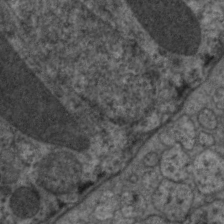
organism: C. elegans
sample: Pharynx